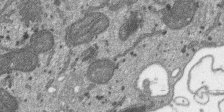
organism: Human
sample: Lung epithelial cells infected with SARS-CoV-2